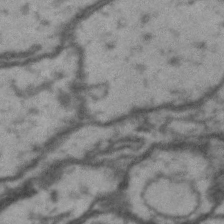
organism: Drosophila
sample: Brain